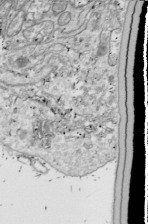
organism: Drosophila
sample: Cell division; meiosis; drosophila spermatocytes